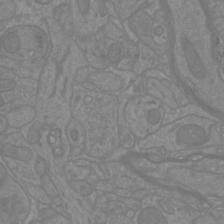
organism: Mouse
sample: Cortical neurons